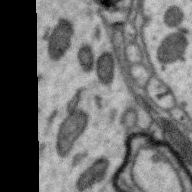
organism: Zebra finch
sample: Brain